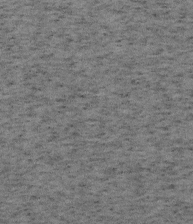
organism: Mouse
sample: OT-I killer T cells with ID8 ovarian cancer cells